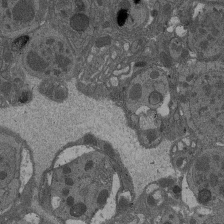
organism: Drosophila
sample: Antenna